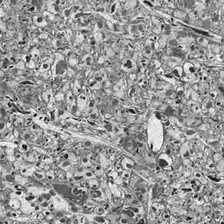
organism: Drosophila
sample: Optic lobe